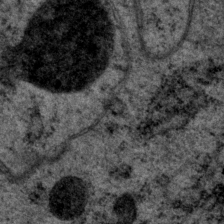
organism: P. pacificus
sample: Pharynx